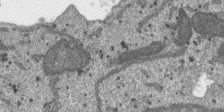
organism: Human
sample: Lung epithelial cells infected with SARS-CoV-2